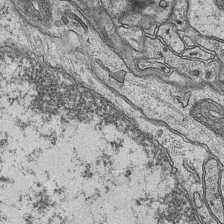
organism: Mouse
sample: CA1 Hippocampus